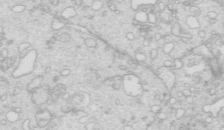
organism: Mouse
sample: Multiciliated cells